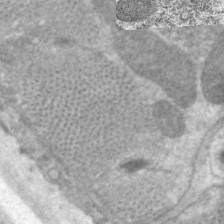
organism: C. elegans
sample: Pharynx